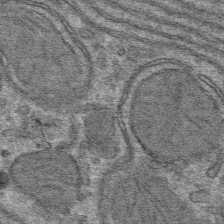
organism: Mouse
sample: Mouse hepatocytes